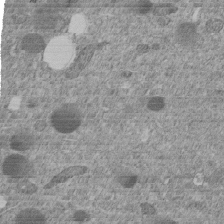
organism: C. elegans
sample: C. elegans embryo early stage